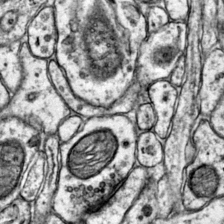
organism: Mouse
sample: Primary visual cortex